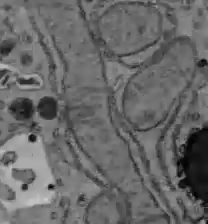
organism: C57BL Mouse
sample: Liver